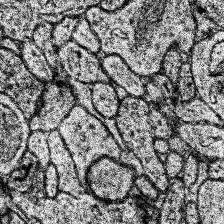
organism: Human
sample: Temporal Lobe